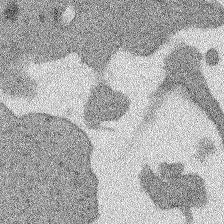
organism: Human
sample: HeLa cells